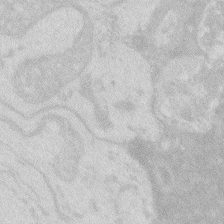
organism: Zebrafish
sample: Macrophage